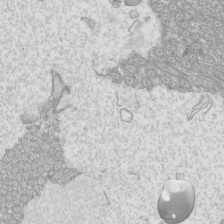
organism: Mouse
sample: Cilia; mouse epididymis